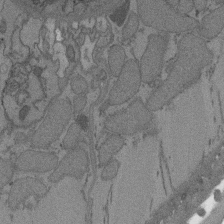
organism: C. elegans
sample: AFD neurons C. elegans